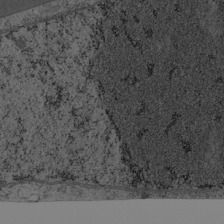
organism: African green monkey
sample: COS-7 cells